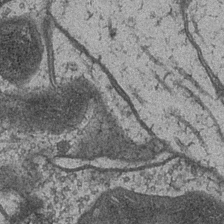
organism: Drosophila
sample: Optic medulla